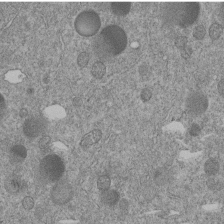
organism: C. elegans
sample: C. elegans embryo early stage